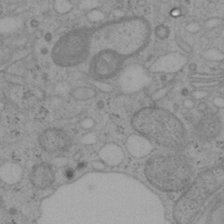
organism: Mouse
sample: OT-I killer T cells with ID8 ovarian cancer cells